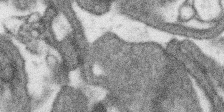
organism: Human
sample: Lung epithelial cells infected with SARS-CoV-2